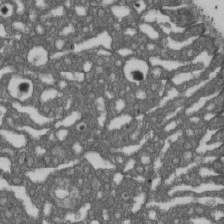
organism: Drosophila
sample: Nephrocyte